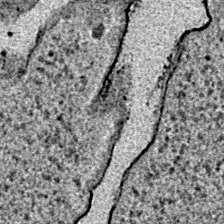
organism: E. coli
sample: E. Coli Bacteria